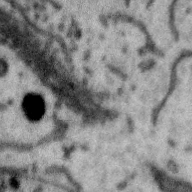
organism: Zebra finch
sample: Brain